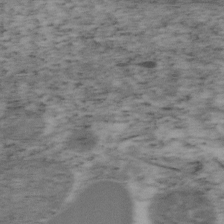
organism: Mouse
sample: OT-I killer T cells with ID8 ovarian cancer cells